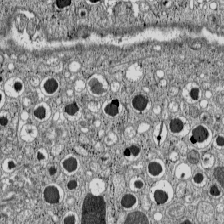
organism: C57BL Mouse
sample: Pancreatic islet